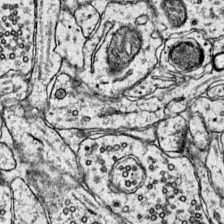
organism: Mouse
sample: Primary visual cortex